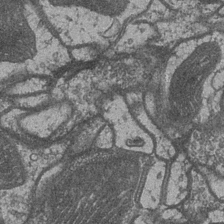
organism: Drosophila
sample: Optic medulla